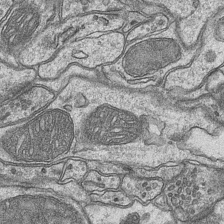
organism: Mouse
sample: CA1 Hippocampus